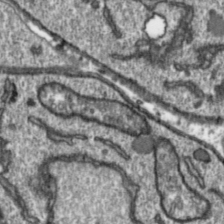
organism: Toxoplasma gondii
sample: Parasites in a vacuole inside a host cell